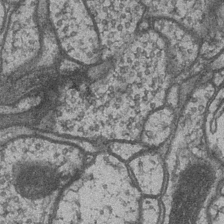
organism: Drosophila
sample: Optic medulla